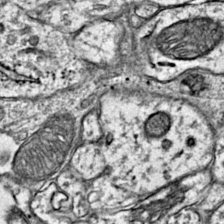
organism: Mouse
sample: Primary visual cortex